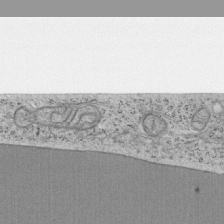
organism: Human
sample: HeLa cells